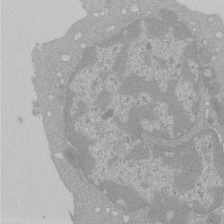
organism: Mouse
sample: Activated Pmel transgenic CD8+ T Cells